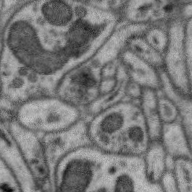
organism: Zebra finch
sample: Brain